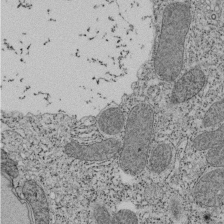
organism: Tetrahymena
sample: Cilia in tetrahymena